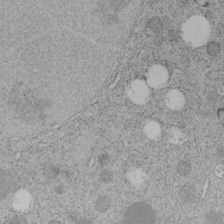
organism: C. elegans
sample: C. elegans embryo early stage